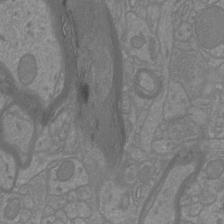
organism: Mouse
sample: Cortical neurons